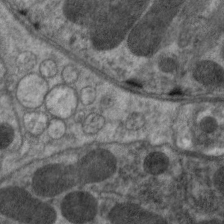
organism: C. elegans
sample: Pharynx